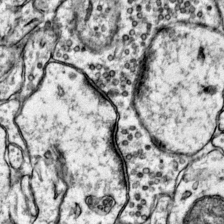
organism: Mouse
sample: Primary visual cortex